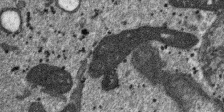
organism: Human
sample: Lung epithelial cells infected with SARS-CoV-2